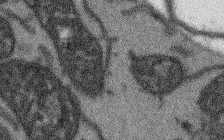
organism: Arabidopsis thaliana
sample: Root tip